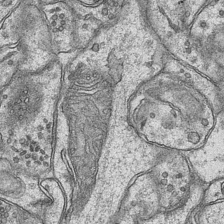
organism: Mouse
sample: CA1 Hippocampus